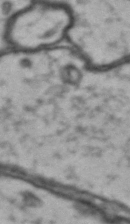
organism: Drosophila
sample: Brain